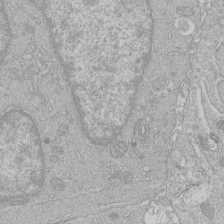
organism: Human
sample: Macrophage cells